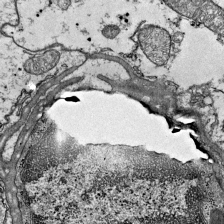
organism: Mouse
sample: Visual Cortex